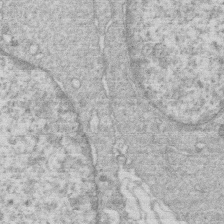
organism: Human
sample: Macrophage cells